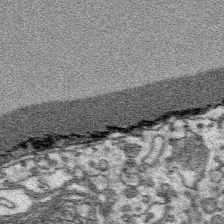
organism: Platynereis dumerilii